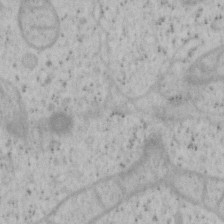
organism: Human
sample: HeLa cells